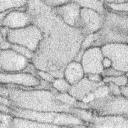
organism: Rabbit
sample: Retina